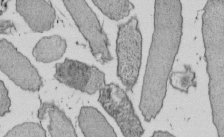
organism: E. coli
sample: Bacterial nucleoid